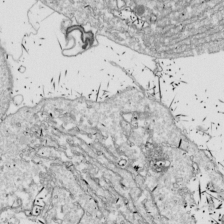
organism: Drosophila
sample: Cell division; meiosis; drosophila spermatocytes